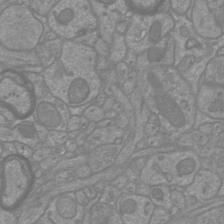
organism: Mouse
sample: Cortical neurons